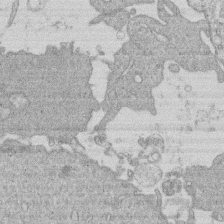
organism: Human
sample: Macrophage cells